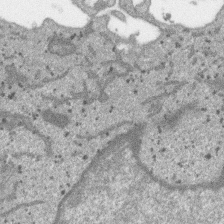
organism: Human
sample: Lung epithelial cells infected with SARS-CoV-2